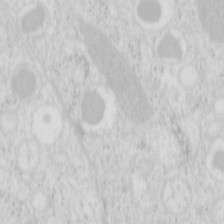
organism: Mouse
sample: Pancreas